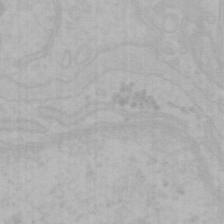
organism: Mouse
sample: Choroid plexus